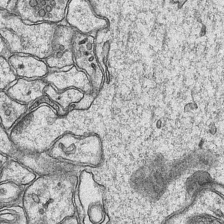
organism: Mouse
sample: CA1 Hippocampus